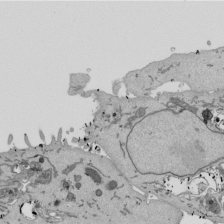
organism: Mouse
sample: ED-1 cell nuclei; centrioles